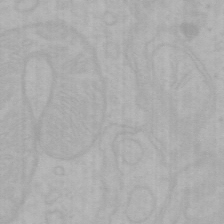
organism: Mouse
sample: Choroid plexus